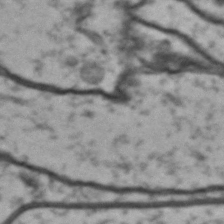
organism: Drosophila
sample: Brain